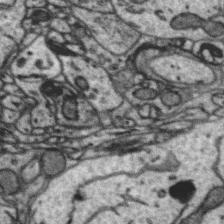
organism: Zebra finch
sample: Brain